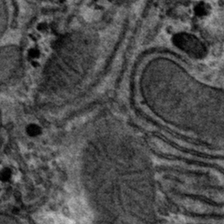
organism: Mouse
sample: Mouse hepatocytes